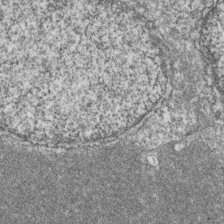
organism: Zebrafish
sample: Cilia; retinal pigment epithelium